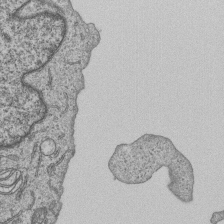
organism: Human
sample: MDA-MB-231 cells